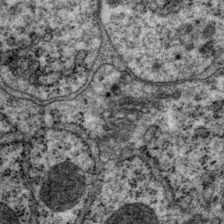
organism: P. pacificus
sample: Pharynx